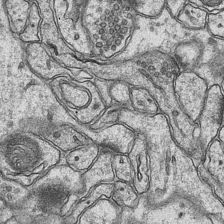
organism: Mouse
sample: CA1 Hippocampus